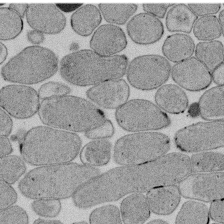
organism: E. coli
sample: Bacterial nucleoid